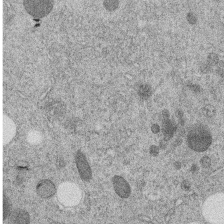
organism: C. elegans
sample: C. elegans embryo early stage